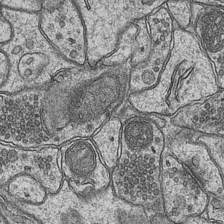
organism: Mouse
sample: CA1 Hippocampus